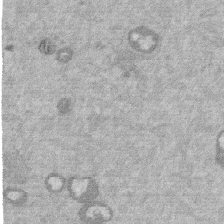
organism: Mouse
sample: Dividing mouse embryo 1 cell stage